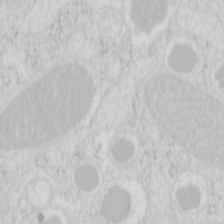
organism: Mouse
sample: Pancreas